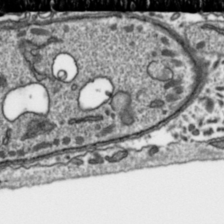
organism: Toxoplasma gondii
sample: Parasites in a vacuole inside a host cell